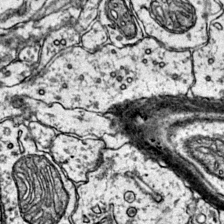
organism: Mouse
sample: Primary visual cortex